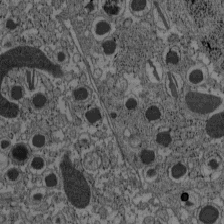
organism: C57BL Mouse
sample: Pancreatic islet